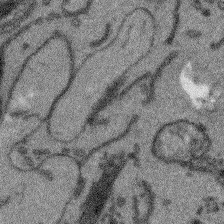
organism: Arabidopsis thaliana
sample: Root tip